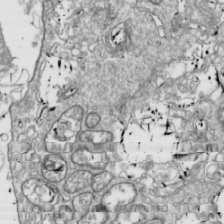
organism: Drosophila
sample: Cell division; meiosis; drosophila spermatocytes